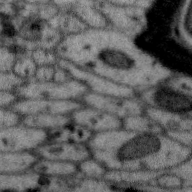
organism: Zebra finch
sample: Brain